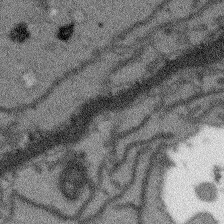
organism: Arabidopsis thaliana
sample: Root tip